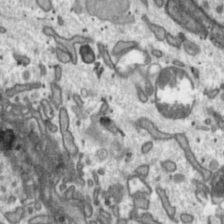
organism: Toxoplasma gondii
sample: Parasites in a vacuole inside a host cell